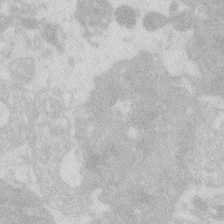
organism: Zebrafish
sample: Macrophage